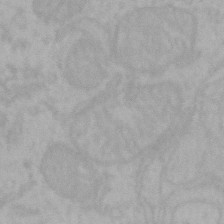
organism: Mouse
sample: Choroid plexus